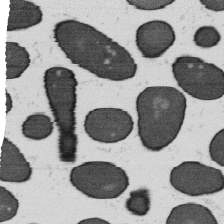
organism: B. subtilis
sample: Bacterial spore